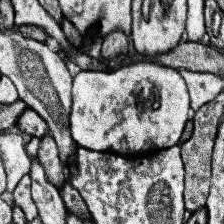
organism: Human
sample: Temporal Lobe